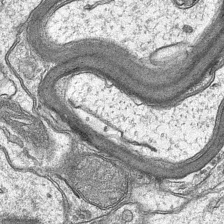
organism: Mouse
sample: CA1 Hippocampus